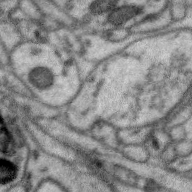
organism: Zebra finch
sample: Brain